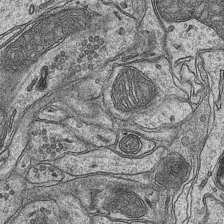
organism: Mouse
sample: CA1 Hippocampus